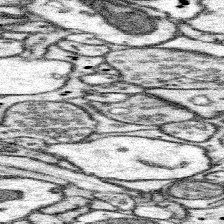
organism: Mouse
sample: Somatosensory cortex neuropil